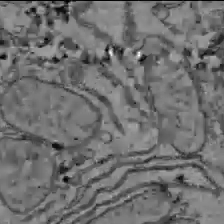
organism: C57BL Mouse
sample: Liver